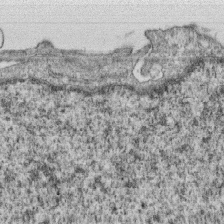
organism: African green monkey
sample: Vero E6 cells infected with SARS-CoV-2